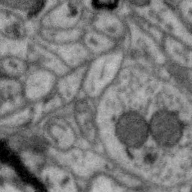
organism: Zebra finch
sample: Brain